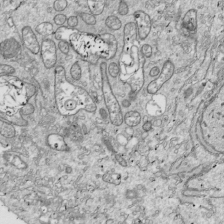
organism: Drosophila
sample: Cell division; meiosis; drosophila spermatocytes